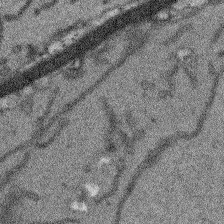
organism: Arabidopsis thaliana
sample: Root tip